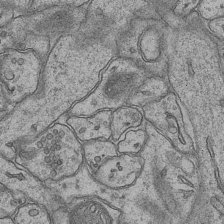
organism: Mouse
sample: CA1 Hippocampus